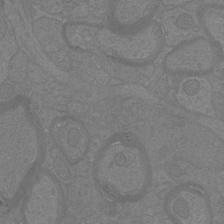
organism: Mouse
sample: Cortical neurons